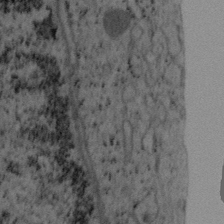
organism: Human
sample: HeLa cells